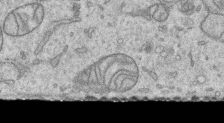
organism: Human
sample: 1205lu cells